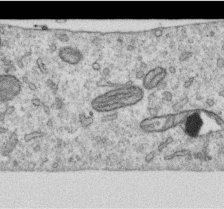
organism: Human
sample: Centriole in RPE cells